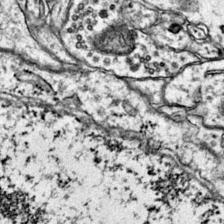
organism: Mouse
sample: Primary visual cortex